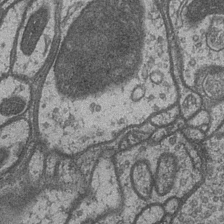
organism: Drosophila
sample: Optic medulla